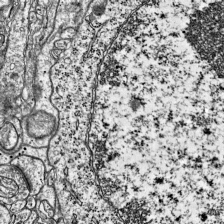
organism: Mouse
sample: Visual Cortex